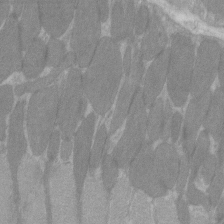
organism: C57BL Mouse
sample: Tibialis anterior muscle cell